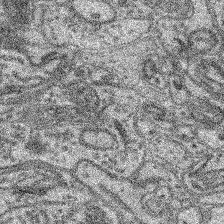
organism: Mouse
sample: Retina